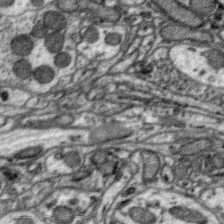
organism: Zebra finch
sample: Brain